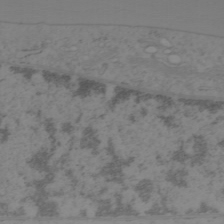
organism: Human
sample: HeLa cells